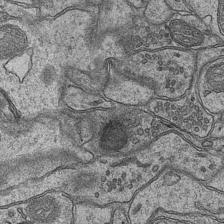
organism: Mouse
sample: CA1 Hippocampus